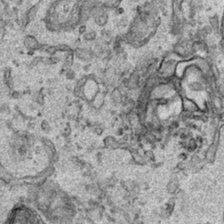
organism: Human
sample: Mitochondria in HCT116 cells